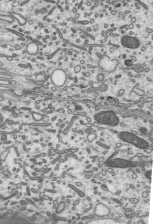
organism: Mouse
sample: Mouse epididymis efferent ductule cilia